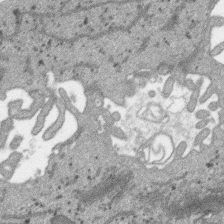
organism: Human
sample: Lung epithelial cells infected with SARS-CoV-2